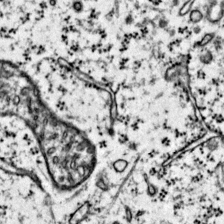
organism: Mouse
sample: Primary visual cortex